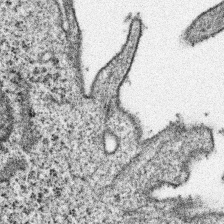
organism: Human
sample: HeLa cells